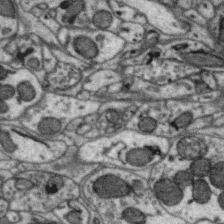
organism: Zebra finch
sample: Brain